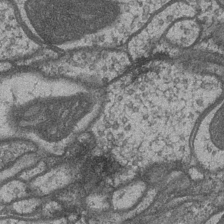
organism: Drosophila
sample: Optic medulla